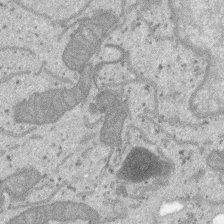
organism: Human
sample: Lung epithelial cells infected with SARS-CoV-2